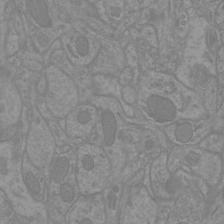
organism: Mouse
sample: Cortical neurons